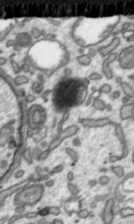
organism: Toxoplasma gondii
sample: Parasites in a vacuole inside a host cell